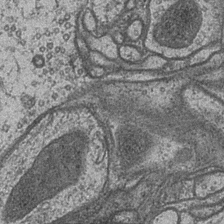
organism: Drosophila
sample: Optic medulla